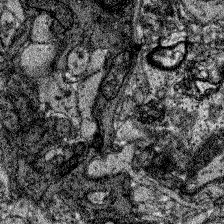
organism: Zebrafish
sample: Larval olfactory bulb